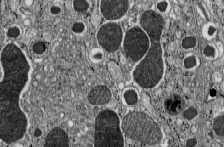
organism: C57BL Mouse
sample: Pancreatic islet